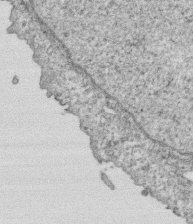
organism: Human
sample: HeLa cell HIV synapse